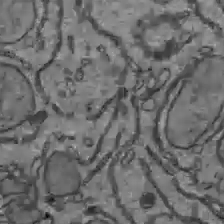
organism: C57BL Mouse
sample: Liver